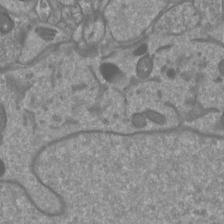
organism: Mouse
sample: Cortical neurons